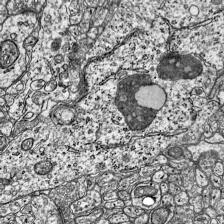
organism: Mouse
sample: Visual Cortex